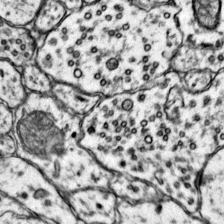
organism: Mouse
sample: Primary visual cortex